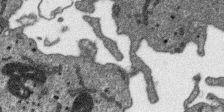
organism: Human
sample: Lung epithelial cells infected with SARS-CoV-2